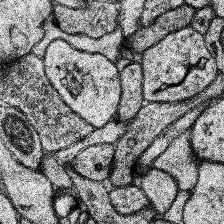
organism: Human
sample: Temporal Lobe